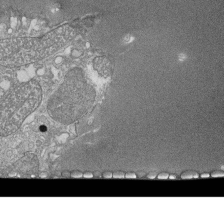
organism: Tetrahymena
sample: Cilia in tetrahymena